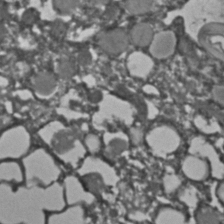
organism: C. elegans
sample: C. elegans embryo